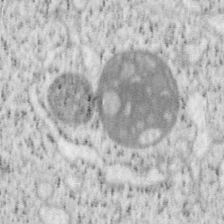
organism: Mouse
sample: OT-I killer T cells with ID8 ovarian cancer cells